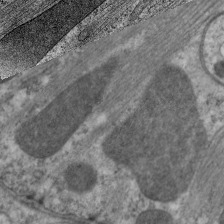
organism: C. elegans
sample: Pharynx